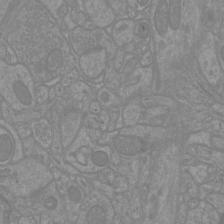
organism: Mouse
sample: Cortical neurons